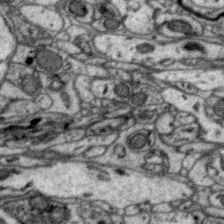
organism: Zebra finch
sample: Brain